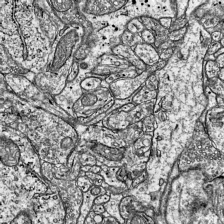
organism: Mouse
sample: Visual Cortex